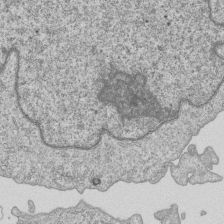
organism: Human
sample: MDA-MB-231 cells